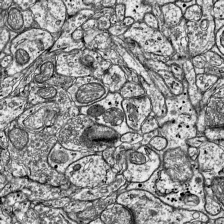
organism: Mouse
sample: Visual Cortex